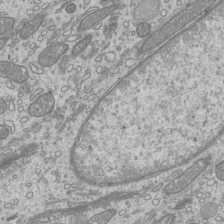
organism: Mouse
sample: Cilia; mouse epididymis